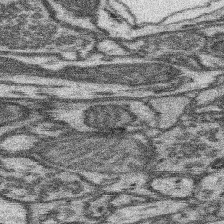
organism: Mouse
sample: Somatosensory cortex neuropil